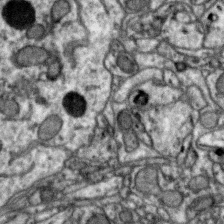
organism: Zebra finch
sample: Brain